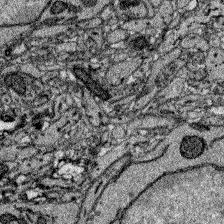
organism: Zebrafish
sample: Larval olfactory bulb